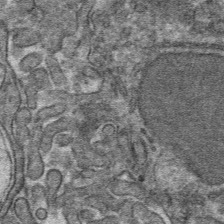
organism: Mouse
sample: Mouse hepatocytes